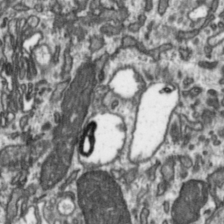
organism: Toxoplasma gondii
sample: Parasites in a vacuole inside a host cell